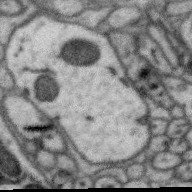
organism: Zebra finch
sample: Brain